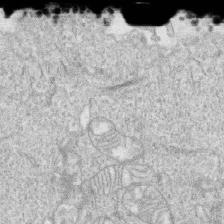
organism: Human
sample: HeLa cell HIV synapse